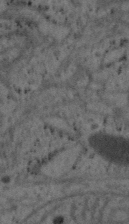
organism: Human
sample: HeLa cells